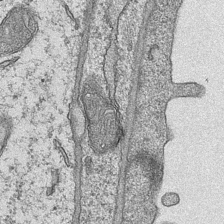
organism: Mouse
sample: CA1 Hippocampus